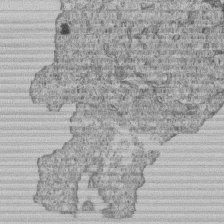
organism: Human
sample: MDA-MB-231 cells